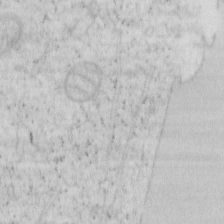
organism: Human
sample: HeLa cells